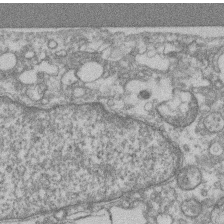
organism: Mouse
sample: T cell stromal cell synapse